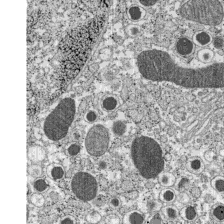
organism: C57BL Mouse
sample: Pancreatic islet